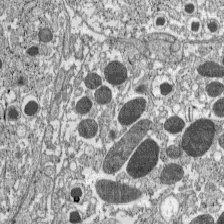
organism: C57BL Mouse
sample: Pancreatic islet